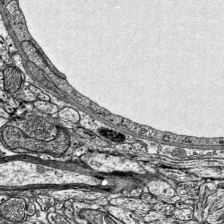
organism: Mouse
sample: Visual Cortex